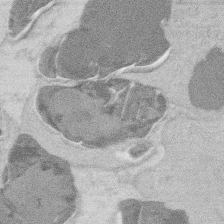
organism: Mouse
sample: T cell stromal cell synapse